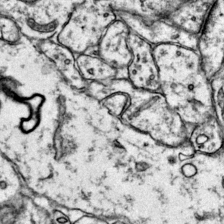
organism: Mouse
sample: Primary visual cortex